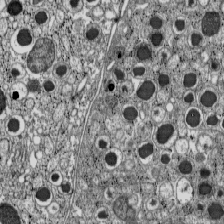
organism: C57BL Mouse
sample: Pancreatic islet